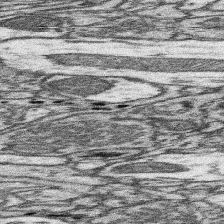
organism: Mouse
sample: Somatosensory cortex neuropil